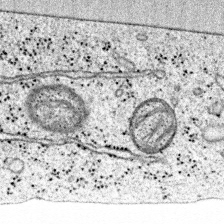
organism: Human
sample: HeLa cells